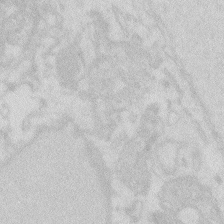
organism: Zebrafish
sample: Macrophage